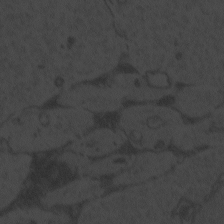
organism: Zebrafish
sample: Macrophage infected with Toxoplasma gondii